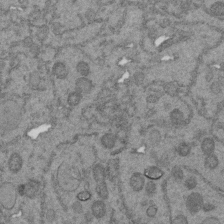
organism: C. elegans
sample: C. elegans embryo early stage